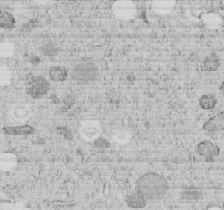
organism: C. elegans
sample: C. elegans embryo early stage